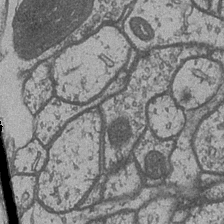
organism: Drosophila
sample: Optic medulla